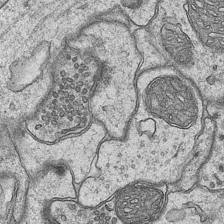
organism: Mouse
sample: CA1 Hippocampus